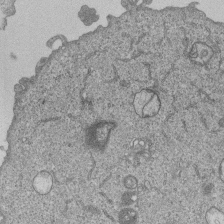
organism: Human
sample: MDA-MB-231 cells